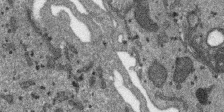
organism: Human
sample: Lung epithelial cells infected with SARS-CoV-2